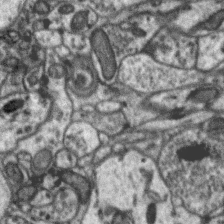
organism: Zebra finch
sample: Brain